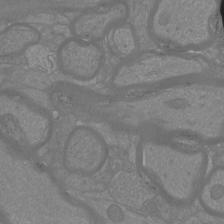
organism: Mouse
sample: Cortical neurons